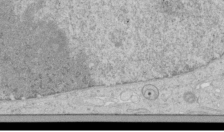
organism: Human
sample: Mitochondria in HCT116 cells